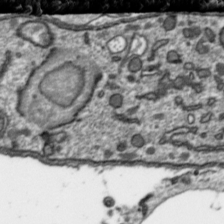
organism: Toxoplasma gondii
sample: Parasites in a vacuole inside a host cell